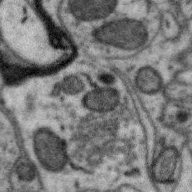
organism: Zebra finch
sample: Brain